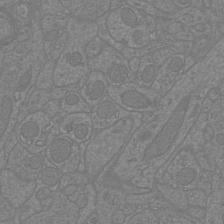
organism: Mouse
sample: Cortical neurons